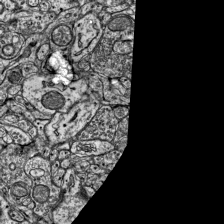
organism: Mouse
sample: Visual Cortex